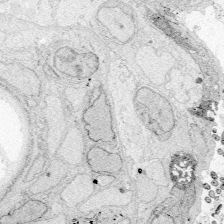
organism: Zebrafish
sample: Whole-Brain